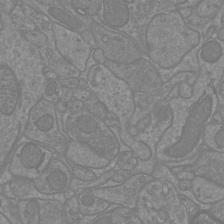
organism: Mouse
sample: Cortical neurons